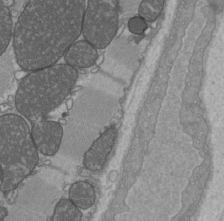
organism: C57BL Mouse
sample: Heart